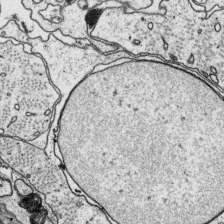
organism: Platynereis dumerilii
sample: Parapodia